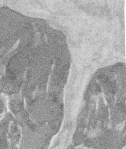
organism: Mouse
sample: T cell stromal cell synapse